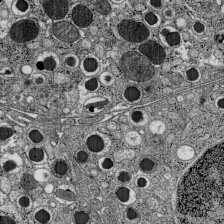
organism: C57BL Mouse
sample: Pancreatic islet